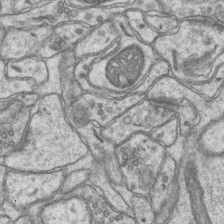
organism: Mouse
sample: CA1 Hippocampus